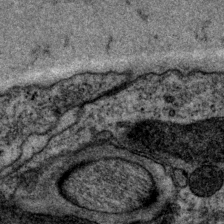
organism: P. pacificus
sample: Pharynx